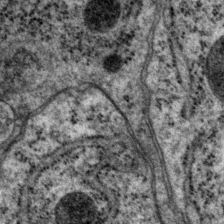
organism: P. pacificus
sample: Pharynx